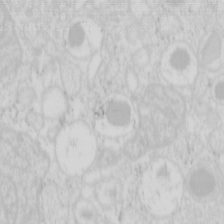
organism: Mouse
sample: Pancreas